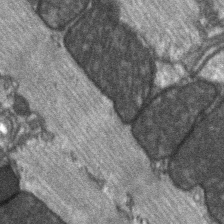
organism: C57BL Mouse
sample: Soleus